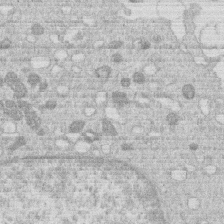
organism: Human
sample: Macrophage cells